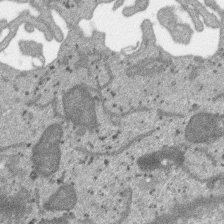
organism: Human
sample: Lung epithelial cells infected with SARS-CoV-2